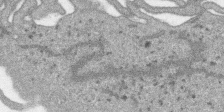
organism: Human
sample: Lung epithelial cells infected with SARS-CoV-2